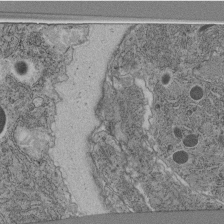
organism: C. elegans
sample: C. elegans pharynx